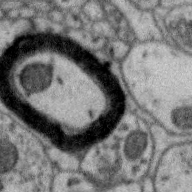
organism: Zebra finch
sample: Brain